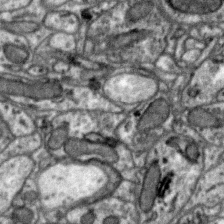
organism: Zebra finch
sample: Brain